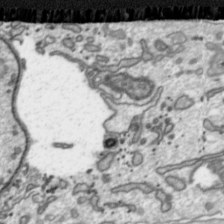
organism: Toxoplasma gondii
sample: Parasites in a vacuole inside a host cell